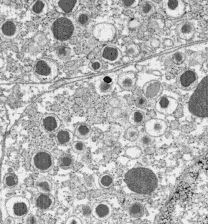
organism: C57BL Mouse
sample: Pancreatic islet